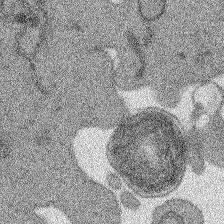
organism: Human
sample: HeLa cells